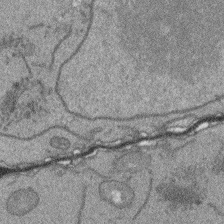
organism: Arabidopsis thaliana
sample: Root tip